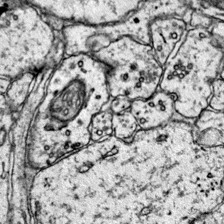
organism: Mouse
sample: Primary visual cortex